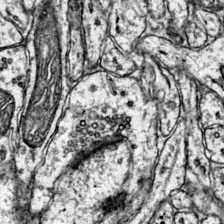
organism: Mouse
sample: Primary visual cortex